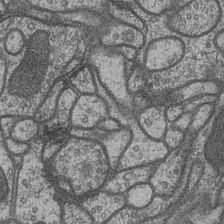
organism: Drosophila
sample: Optic medulla